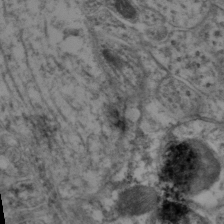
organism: Mouse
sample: Neocortex